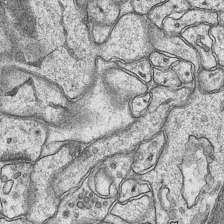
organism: Mouse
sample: CA1 Hippocampus